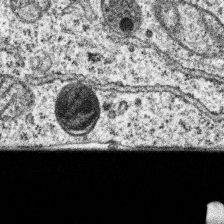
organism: Human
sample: HeLa cells